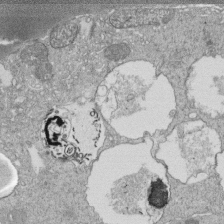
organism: Tetrahymena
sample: Cilia in tetrahymena